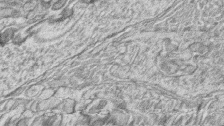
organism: Zebrafish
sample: synaptic ribbons in rod cells and cone cells